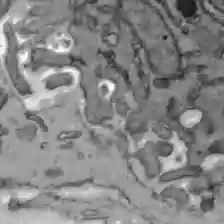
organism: C57BL Mouse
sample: Liver